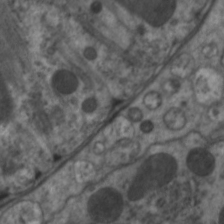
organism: C. elegans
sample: Pharynx